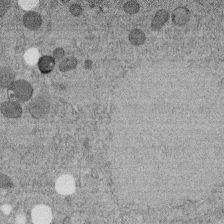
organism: C. elegans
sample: C. elegans embryo early stage